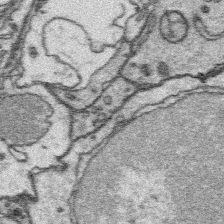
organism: Platynereis dumerilii